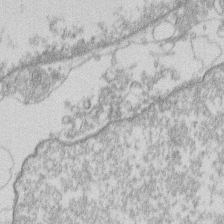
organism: Human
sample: Macrophage cells